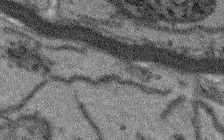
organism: Arabidopsis thaliana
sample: Root tip